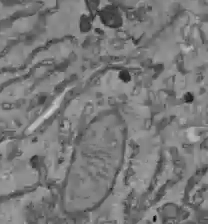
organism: C57BL Mouse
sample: Liver